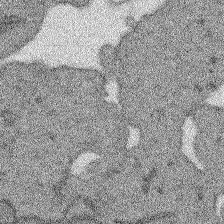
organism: Human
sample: HeLa cells